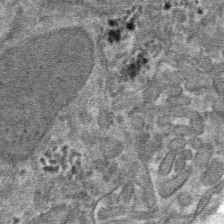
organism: Mouse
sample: Mouse hepatocytes